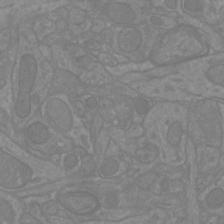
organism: Mouse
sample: Cortical neurons